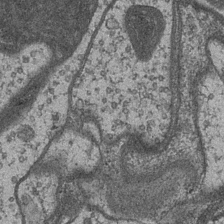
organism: Drosophila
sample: Optic medulla